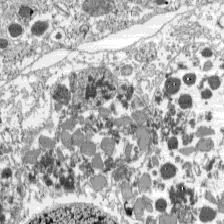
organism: C57BL Mouse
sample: Pancreatic islet